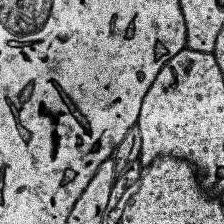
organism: Human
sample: Temporal Lobe